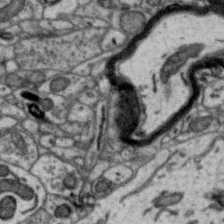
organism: Zebra finch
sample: Brain